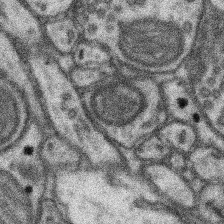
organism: Mouse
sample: Somatosensory cortex neuropil